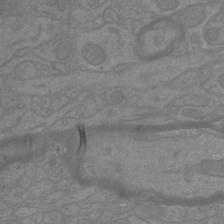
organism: Mouse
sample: Cortical neurons